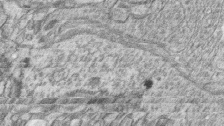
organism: Zebrafish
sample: synaptic ribbons in rod cells and cone cells